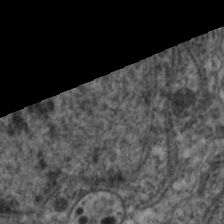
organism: C. elegans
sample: Pharynx